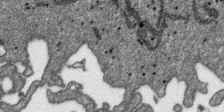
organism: Human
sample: Lung epithelial cells infected with SARS-CoV-2